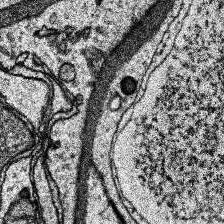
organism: Human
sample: Temporal Lobe